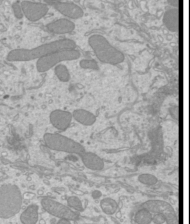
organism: Mouse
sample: Cilia; mouse epididymis